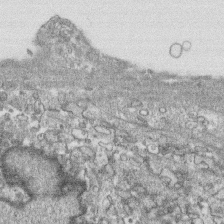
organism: Human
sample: CRL-1474